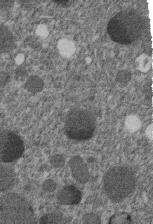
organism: C. elegans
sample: C. elegans embryo early stage